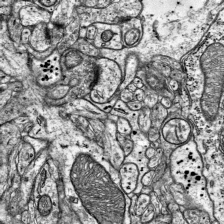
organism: Mouse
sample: Visual Cortex